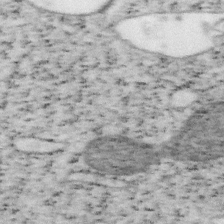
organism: Mouse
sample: OT-I killer T cells with ID8 ovarian cancer cells